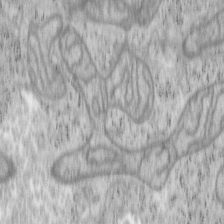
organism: Human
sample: HeLa cells